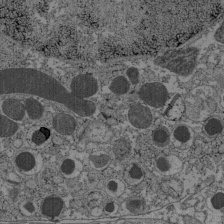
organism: C57BL Mouse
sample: Pancreatic islet